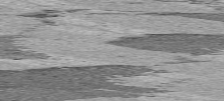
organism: C57BL Mouse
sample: Heart